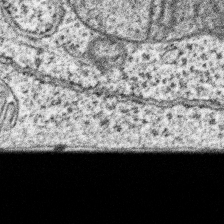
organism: Human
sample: HeLa cells